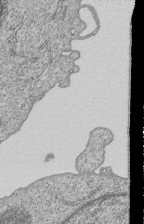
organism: Human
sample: MDA-MB-231 cells